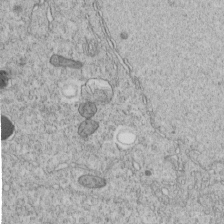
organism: C. elegans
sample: C. elegans embryo early stage